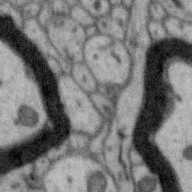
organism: Zebra finch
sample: Brain